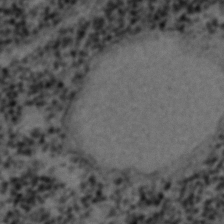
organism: C. elegans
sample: C. elegans embryo